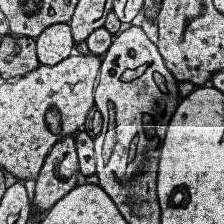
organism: Human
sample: Temporal Lobe